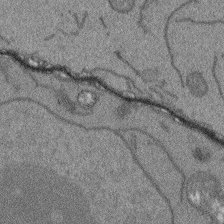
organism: Arabidopsis thaliana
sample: Root tip